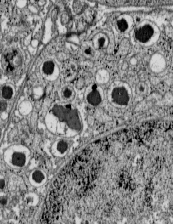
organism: C57BL Mouse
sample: Pancreatic islet